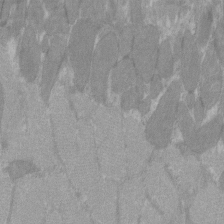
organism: C57BL Mouse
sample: Tibialis anterior muscle cell